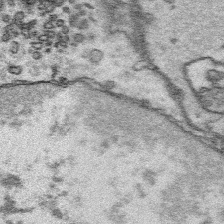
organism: Platynereis dumerilii